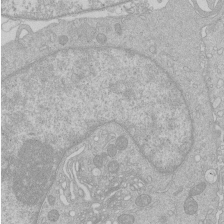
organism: Human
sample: Macrophage cells